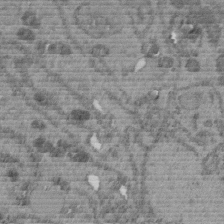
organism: C. elegans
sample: C. elegans embryo early stage